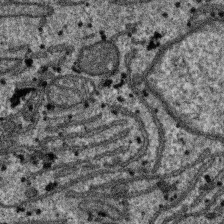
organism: Human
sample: Lung epithelial cells infected with SARS-CoV-2